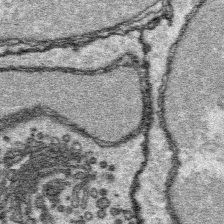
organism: Platynereis dumerilii